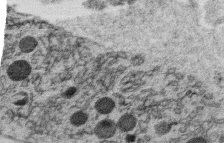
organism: C. elegans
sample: C. elegans oocyte; sperm cells